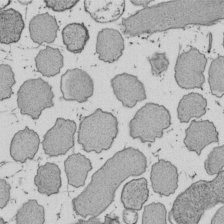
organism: E. coli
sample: Bacterial nucleoid